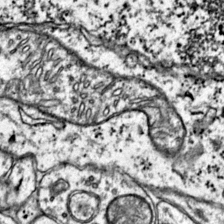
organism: Mouse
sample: Primary visual cortex